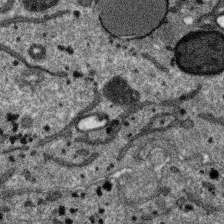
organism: Human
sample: Lung epithelial cells infected with SARS-CoV-2